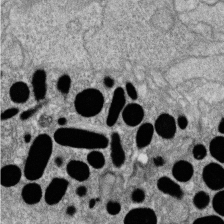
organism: Zebrafish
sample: Cilia; retinal pigment epithelium